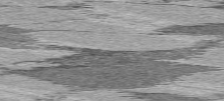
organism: C57BL Mouse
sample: Heart